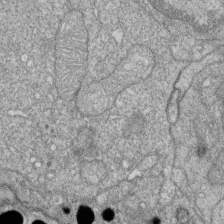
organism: Zebrafish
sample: Cilia; retinal pigment epithelium